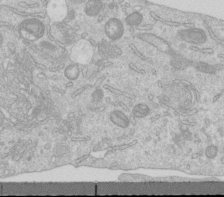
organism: Human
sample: Centriole in RPE cells